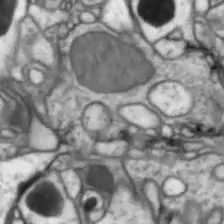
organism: Drosophila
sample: Optic lobe